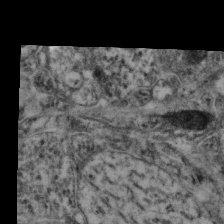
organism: Mouse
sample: Neocortex